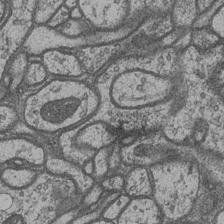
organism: Drosophila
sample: Optic medulla